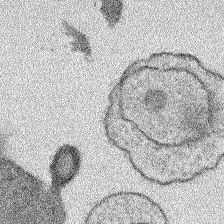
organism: Human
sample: HeLa cells